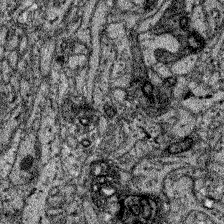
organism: Zebrafish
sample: Larval olfactory bulb